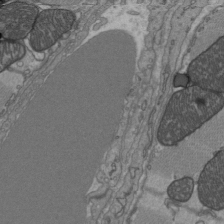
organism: C57BL Mouse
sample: Heart